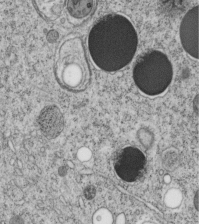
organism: C. elegans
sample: C. elegans embryo early stage